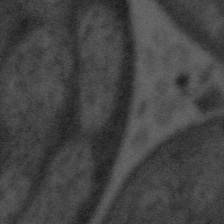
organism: Tuwongella immobilis